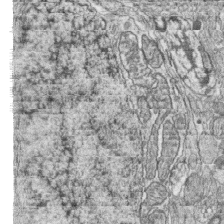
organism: Zebrafish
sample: synaptic ribbons in rod cells and cone cells